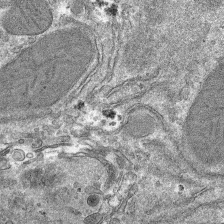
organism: Mouse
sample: Mouse hepatocytes